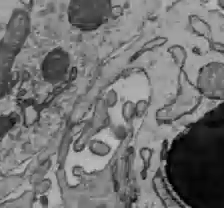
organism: C57BL Mouse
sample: Liver